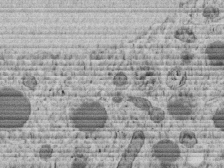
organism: C. elegans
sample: C. elegans embryo early stage